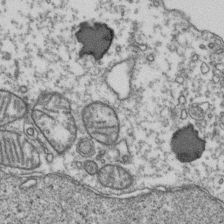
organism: Human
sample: Activated Jurkat CD4+ T cells